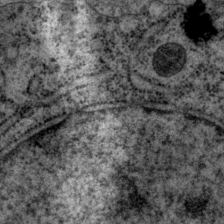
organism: P. pacificus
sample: Pharynx